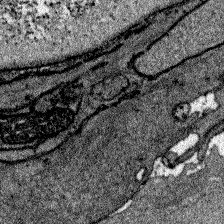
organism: Zebrafish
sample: Larval olfactory bulb